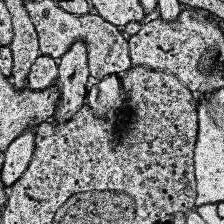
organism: Human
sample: Temporal Lobe